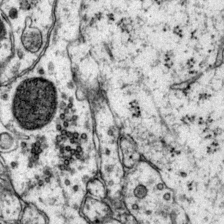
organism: Mouse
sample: Primary visual cortex